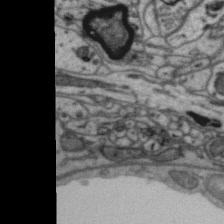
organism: Zebra finch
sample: Brain